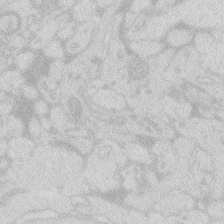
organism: Zebrafish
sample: Macrophage